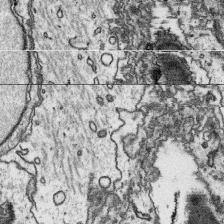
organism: Platynereis dumerilii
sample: Parapodia